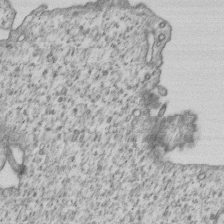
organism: Human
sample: MDA-MB-231 cells